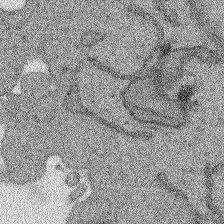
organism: Human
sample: HeLa cells